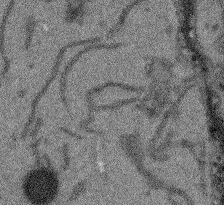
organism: Arabidopsis thaliana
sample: Root tip